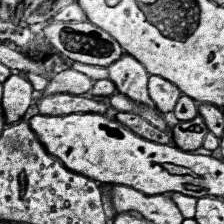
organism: Human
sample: Temporal Lobe